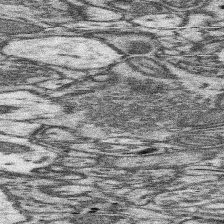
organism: Mouse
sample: Somatosensory cortex neuropil